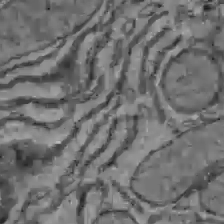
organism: C57BL Mouse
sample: Liver